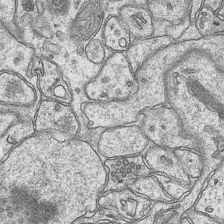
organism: Mouse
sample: CA1 Hippocampus